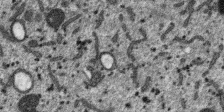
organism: Human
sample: Lung epithelial cells infected with SARS-CoV-2